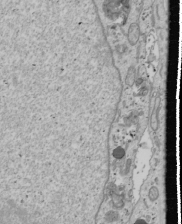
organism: Human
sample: Mitochondria in U2OS cells